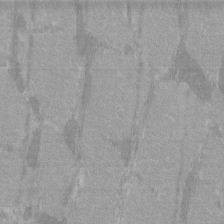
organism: C57BL Mouse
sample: Tibialis anterior muscle cell